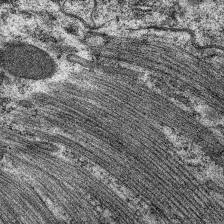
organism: C. elegans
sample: Pharynx